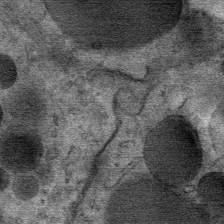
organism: Mouse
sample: Mouse Salivary gland